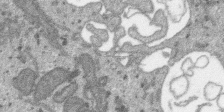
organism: Human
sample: Lung epithelial cells infected with SARS-CoV-2